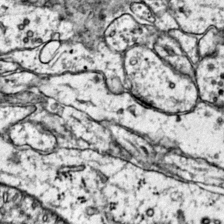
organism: Mouse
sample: Primary visual cortex